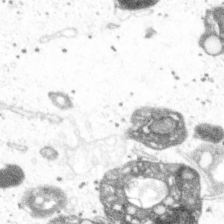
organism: Human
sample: HeLa cells